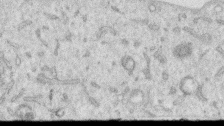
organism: Human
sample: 1205lu cells